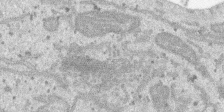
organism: Human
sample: Lung epithelial cells infected with SARS-CoV-2